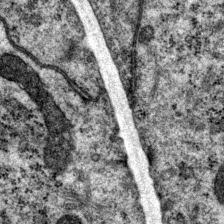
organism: P. pacificus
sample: Pharynx